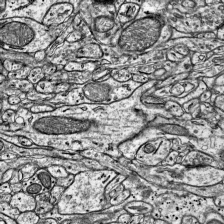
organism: Mouse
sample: Visual Cortex